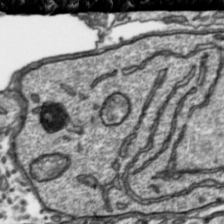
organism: Toxoplasma gondii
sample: Parasites in a vacuole inside a host cell